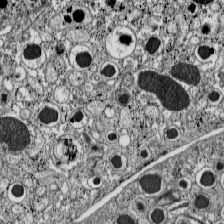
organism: C57BL Mouse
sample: Pancreatic islet